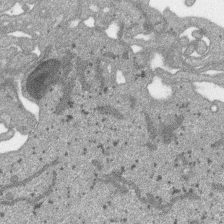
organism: Human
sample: Lung epithelial cells infected with SARS-CoV-2